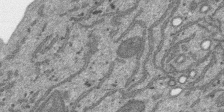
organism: Human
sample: Lung epithelial cells infected with SARS-CoV-2